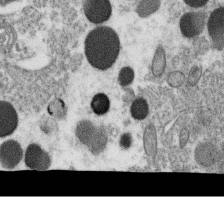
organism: C. elegans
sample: C. elegans oocyte; sperm cells